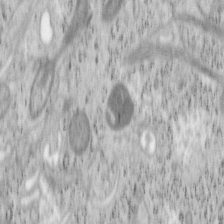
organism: Human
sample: HeLa cells